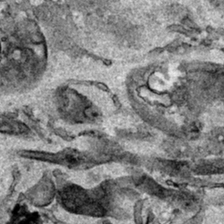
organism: Human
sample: Mitochondria in HCT116 cells